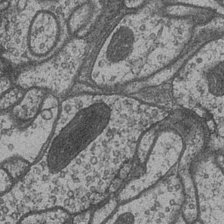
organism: Drosophila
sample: Optic medulla